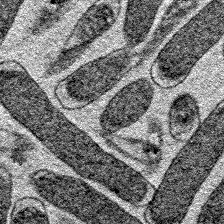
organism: E. coli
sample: E. Coli Bacteria